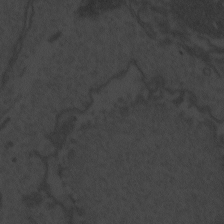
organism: Zebrafish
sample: Macrophage infected with Toxoplasma gondii